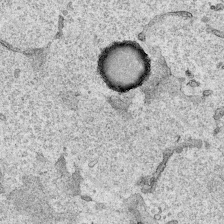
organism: Human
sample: Mitochondria in HCT116 cells